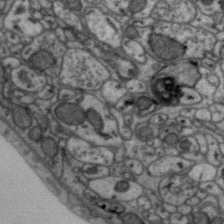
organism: Zebra finch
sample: Brain